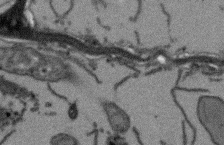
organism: Arabidopsis thaliana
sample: Root tip